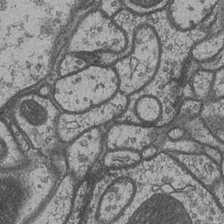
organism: Drosophila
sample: Optic medulla